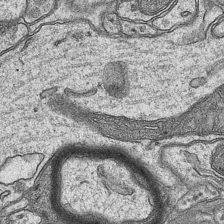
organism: Mouse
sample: CA1 Hippocampus